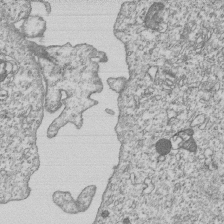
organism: Human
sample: MDA-MB-231 cells